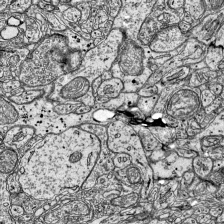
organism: Mouse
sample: Visual Cortex